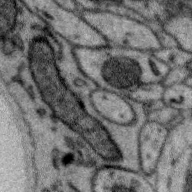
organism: Zebra finch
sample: Brain